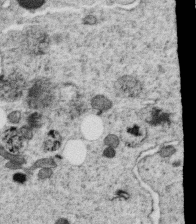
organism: C. elegans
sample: C. elegans oocyte; sperm cells